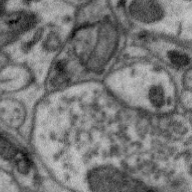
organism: Zebra finch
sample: Brain